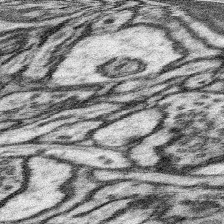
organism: Mouse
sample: Somatosensory cortex neuropil